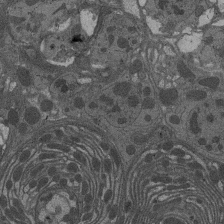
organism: Drosophila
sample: Antenna